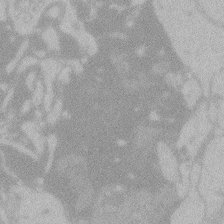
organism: Zebrafish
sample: Macrophage infected with Toxoplasma gondii